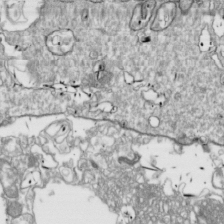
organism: Drosophila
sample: Cell division; meiosis; drosophila spermatocytes